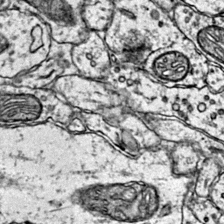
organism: Mouse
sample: Primary visual cortex